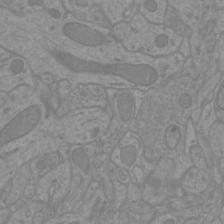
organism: Mouse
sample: Cortical neurons